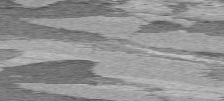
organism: C57BL Mouse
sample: Heart